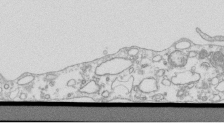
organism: Mouse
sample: Macrophages